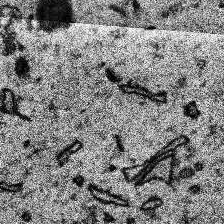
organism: Human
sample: Temporal Lobe